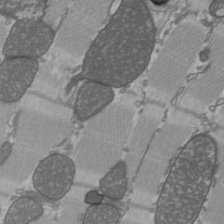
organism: C57BL Mouse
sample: Heart